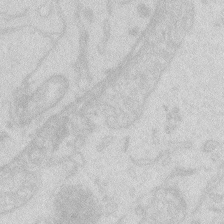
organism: Zebrafish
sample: Macrophage